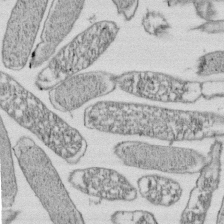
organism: E. coli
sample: Bacterial nucleoid